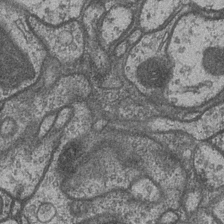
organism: Drosophila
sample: Optic medulla